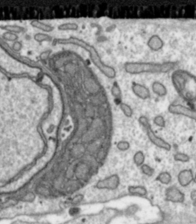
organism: Toxoplasma gondii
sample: Parasites in a vacuole inside a host cell